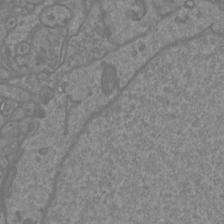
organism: Mouse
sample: Cortical neurons